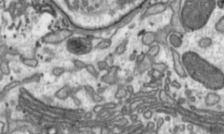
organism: Toxoplasma gondii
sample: Parasites in a vacuole inside a host cell